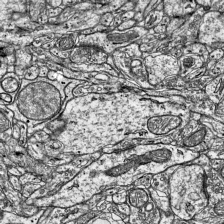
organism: Mouse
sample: Visual Cortex